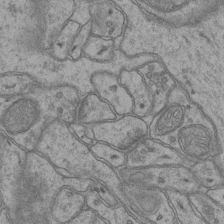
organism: Mouse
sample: CA1 Hippocampus